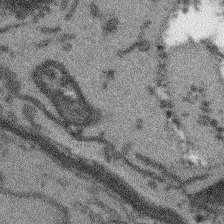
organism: Arabidopsis thaliana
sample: Root tip